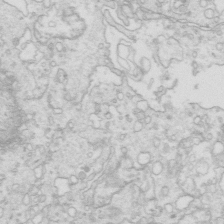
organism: Mouse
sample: Multiciliated cells